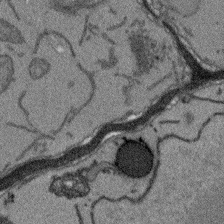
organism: Arabidopsis thaliana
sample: Root tip